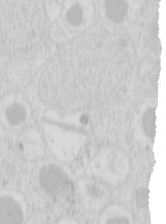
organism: Mouse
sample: Pancreas